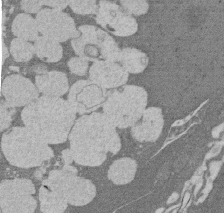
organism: Rat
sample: Salivary granule